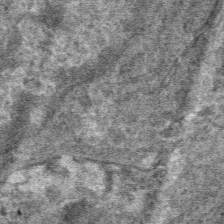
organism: Mouse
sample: Mouse hepatocytes